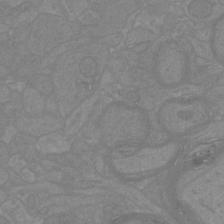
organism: Mouse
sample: Cortical neurons